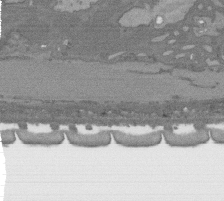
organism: C. elegans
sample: AFD neurons C. elegans